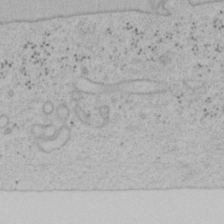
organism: Human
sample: HeLa cells